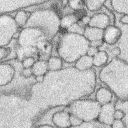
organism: Rabbit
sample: Retina